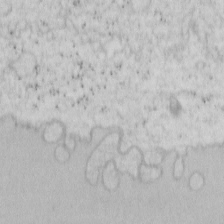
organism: Human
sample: HeLa cells